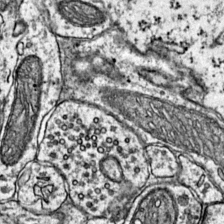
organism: Mouse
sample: Primary visual cortex